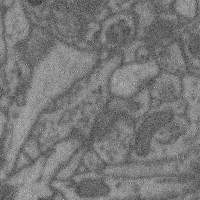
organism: Mouse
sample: Cerebral cortex